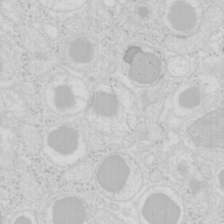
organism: Mouse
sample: Pancreas